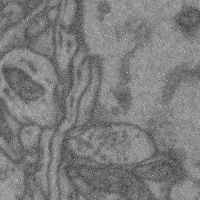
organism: Mouse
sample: Cerebral cortex